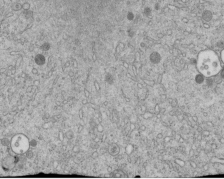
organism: C. elegans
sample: C. elegans embryo early stage